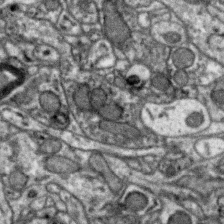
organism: Zebra finch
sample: Brain